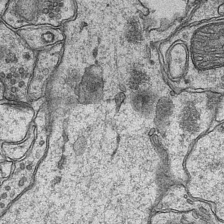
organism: Mouse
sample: CA1 Hippocampus